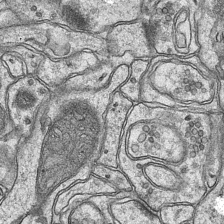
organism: Mouse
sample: CA1 Hippocampus